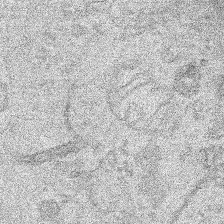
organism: Human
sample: Mitochondria in HCT116 cells